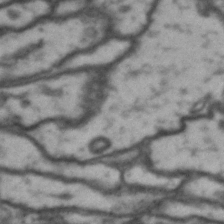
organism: Drosophila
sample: Brain